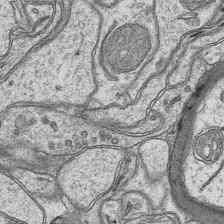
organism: Mouse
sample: CA1 Hippocampus